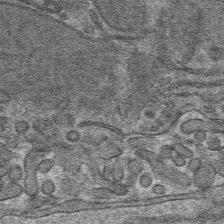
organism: Mouse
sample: Mouse hepatocytes